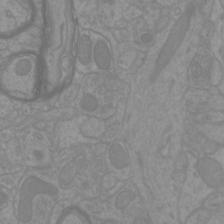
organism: Mouse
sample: Cortical neurons